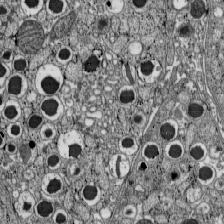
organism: C57BL Mouse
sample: Pancreatic islet